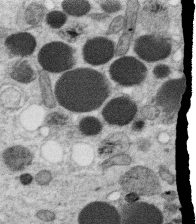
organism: C. elegans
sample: C. elegans oocyte; sperm cells